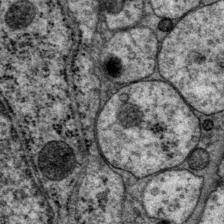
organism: P. pacificus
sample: Pharynx